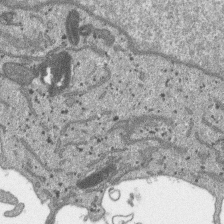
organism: Human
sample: Lung epithelial cells infected with SARS-CoV-2